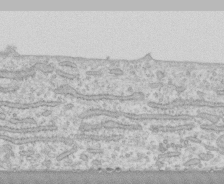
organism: Human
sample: CRL-1474